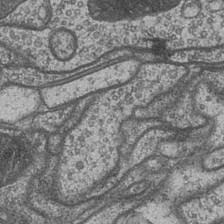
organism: Drosophila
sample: Optic medulla